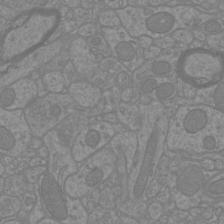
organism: Mouse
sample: Cortical neurons